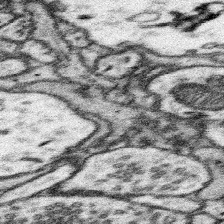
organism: Mouse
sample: Somatosensory cortex neuropil